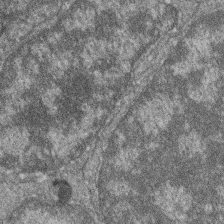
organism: Zebrafish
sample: Cilia; retinal pigment epithelium